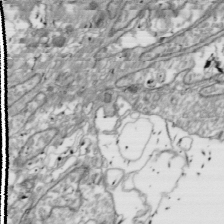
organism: Drosophila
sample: Cell division; meiosis; drosophila spermatocytes